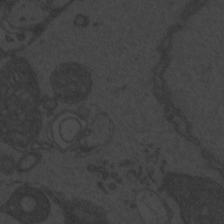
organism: Zebrafish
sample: Macrophage infected with Toxoplasma gondii